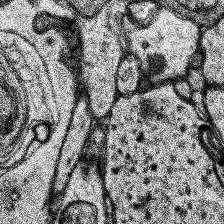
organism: Human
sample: Temporal Lobe